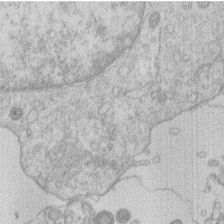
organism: Human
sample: Macrophage cells